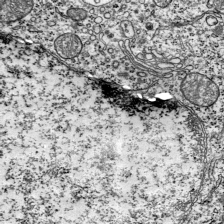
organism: Mouse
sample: Visual Cortex